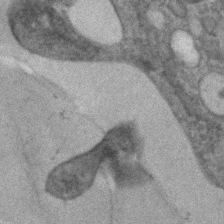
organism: Human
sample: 1205lu cells